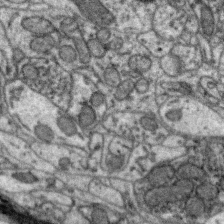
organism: Zebra finch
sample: Brain